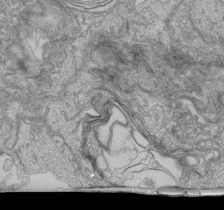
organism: Human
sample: Retinal organoid Rod and Cone cells